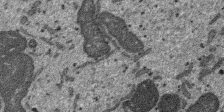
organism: Human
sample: Lung epithelial cells infected with SARS-CoV-2